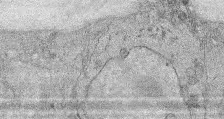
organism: Mouse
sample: Corneal nerves